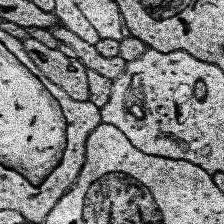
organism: Human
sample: Temporal Lobe